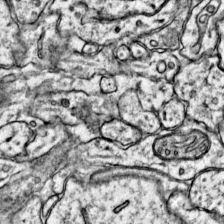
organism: Mouse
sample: Primary visual cortex